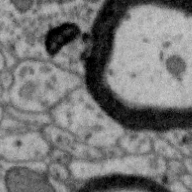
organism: Zebra finch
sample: Brain